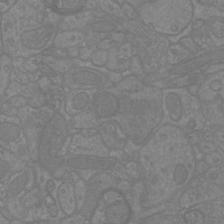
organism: Mouse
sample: Cortical neurons